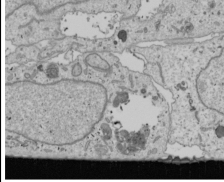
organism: Human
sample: Mitochondria in U2OS cells